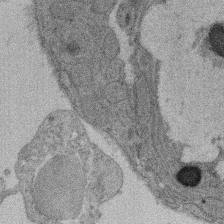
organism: Rat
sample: Salivary granule